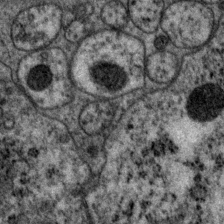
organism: P. pacificus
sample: Pharynx